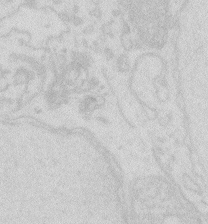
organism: Zebrafish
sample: Macrophage